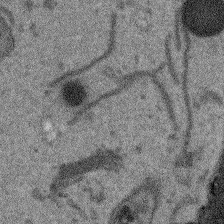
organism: Arabidopsis thaliana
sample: Root tip